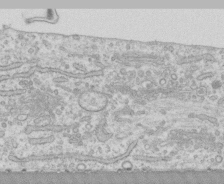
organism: Human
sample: CRL-1474